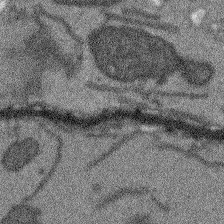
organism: Arabidopsis thaliana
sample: Root tip